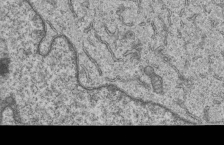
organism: Human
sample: MDA-MB-231 cells